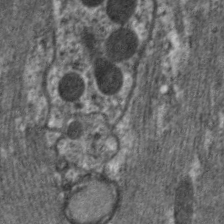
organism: C. elegans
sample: Pharynx